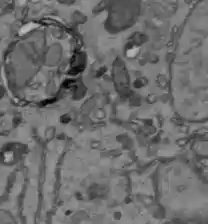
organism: C57BL Mouse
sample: Liver